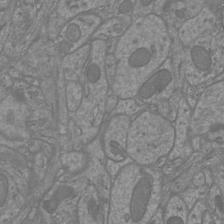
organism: Mouse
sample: Cortical neurons